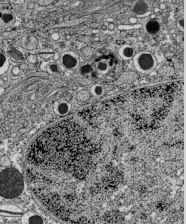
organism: C57BL Mouse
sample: Pancreatic islet